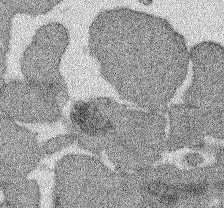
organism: Human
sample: HeLa cells